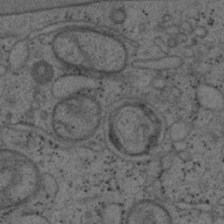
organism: Human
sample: HeLa cells